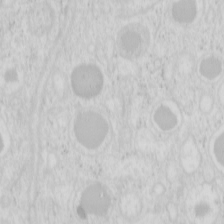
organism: Mouse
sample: Pancreas